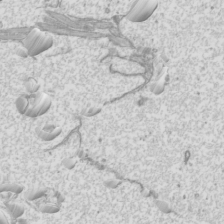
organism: Mouse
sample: Cilia; mouse epididymis